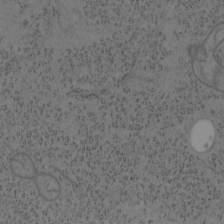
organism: Mouse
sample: OT-I killer T cells with ID8 ovarian cancer cells